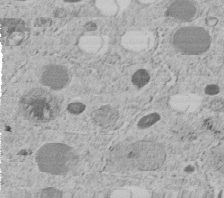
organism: C. elegans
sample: C. elegans embryo early stage